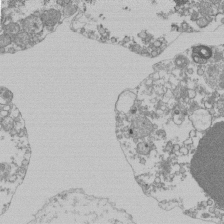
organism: Mouse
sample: Activated Pmel transgenic CD8+ T Cells